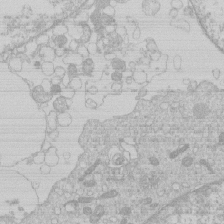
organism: Human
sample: Macrophage cells